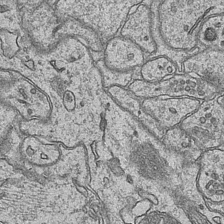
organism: Mouse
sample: CA1 Hippocampus